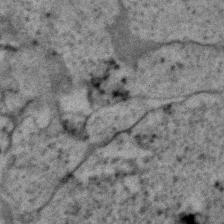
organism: Zebrafish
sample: Zebrafish embryo